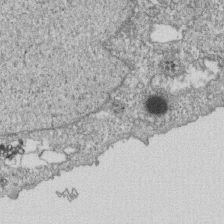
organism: Human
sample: HeLa cell HIV synapse